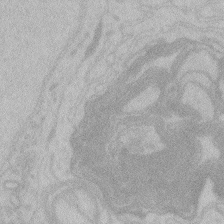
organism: Zebrafish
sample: Macrophage infected with Toxoplasma gondii